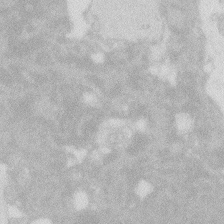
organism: Zebrafish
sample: Macrophage